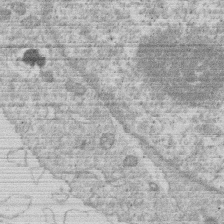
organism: Human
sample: Macrophage cells